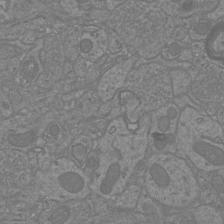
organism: Mouse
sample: Cortical neurons